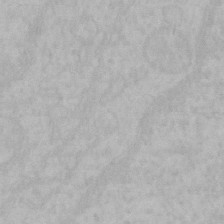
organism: Mouse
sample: Choroid plexus